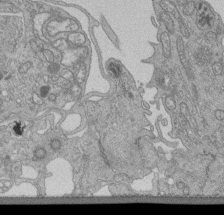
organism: Human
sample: Retinal organoid Rod and Cone cells